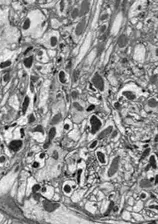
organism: Drosophila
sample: Optic lobe